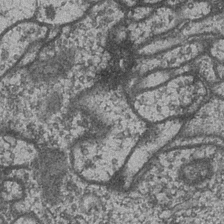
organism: Drosophila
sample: Optic medulla